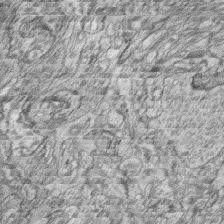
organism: Zebrafish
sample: synaptic ribbons in rod cells and cone cells